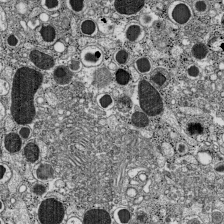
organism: C57BL Mouse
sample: Pancreatic islet